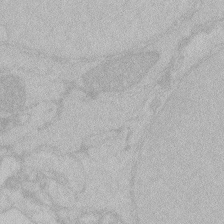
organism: Zebrafish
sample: Macrophage infected with Toxoplasma gondii